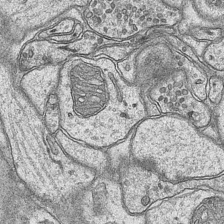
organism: Mouse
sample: CA1 Hippocampus